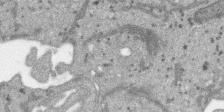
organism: Human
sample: Lung epithelial cells infected with SARS-CoV-2